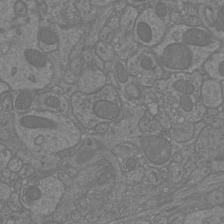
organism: Mouse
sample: Cortical neurons